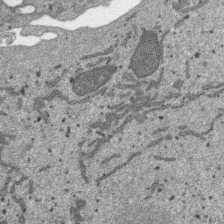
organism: Human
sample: Lung epithelial cells infected with SARS-CoV-2